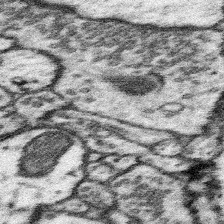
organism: Mouse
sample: Somatosensory cortex neuropil